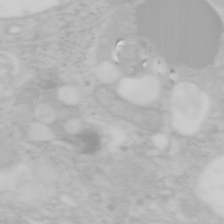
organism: Mouse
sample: OT-I killer T cells with ID8 ovarian cancer cells